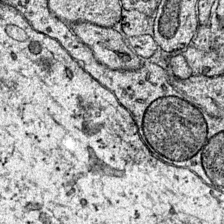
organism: Mouse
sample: Primary visual cortex